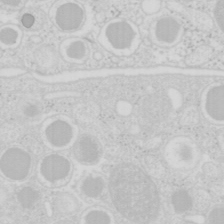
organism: Mouse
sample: Pancreas